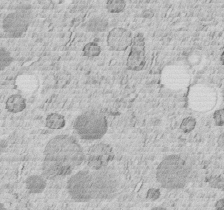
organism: C. elegans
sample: C. elegans embryo early stage